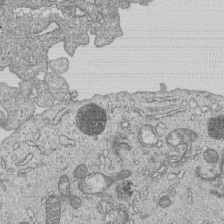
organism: Human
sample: MDA-MB-231 cells